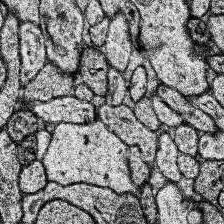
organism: Human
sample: Temporal Lobe